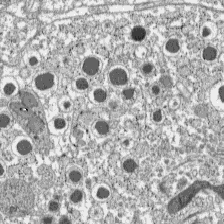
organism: C57BL Mouse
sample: Pancreatic islet